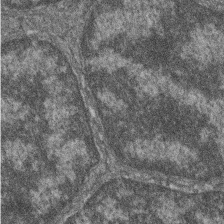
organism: Zebrafish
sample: Cilia; retinal pigment epithelium